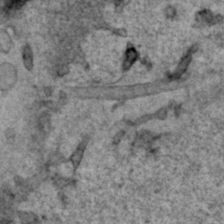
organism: Human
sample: Mitochondria in HCT116 cells